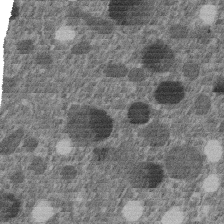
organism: C. elegans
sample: C. elegans embryo early stage